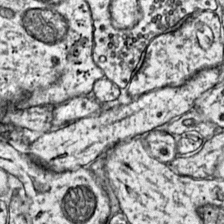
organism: Mouse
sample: Primary visual cortex